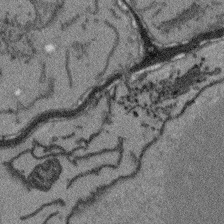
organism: Arabidopsis thaliana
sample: Root tip